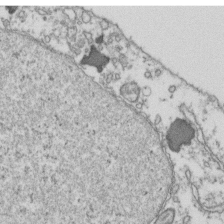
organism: Human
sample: Activated Jurkat CD4+ T cells